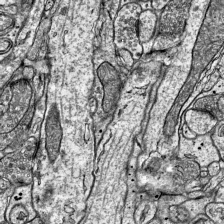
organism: Mouse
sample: Visual Cortex